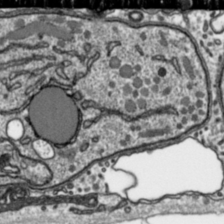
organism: Toxoplasma gondii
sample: Parasites in a vacuole inside a host cell